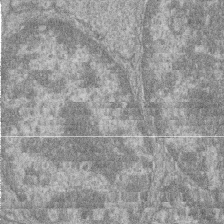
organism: Zebrafish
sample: Cilia; retinal pigment epithelium